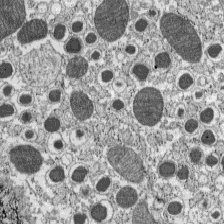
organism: C57BL Mouse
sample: Pancreatic islet